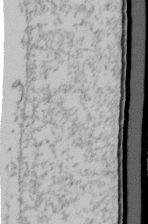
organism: Human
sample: U2-OS cells